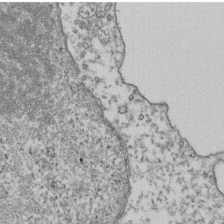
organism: Human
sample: Activated Jurkat CD4+ T cells